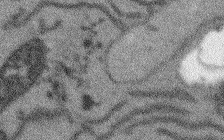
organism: Arabidopsis thaliana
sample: Root tip